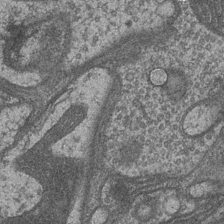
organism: Drosophila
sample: Optic medulla